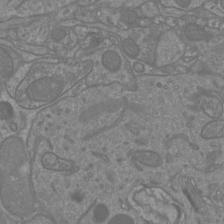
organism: Mouse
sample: Cortical neurons